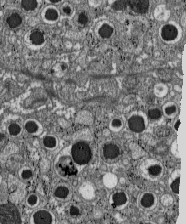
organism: C57BL Mouse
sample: Pancreatic islet